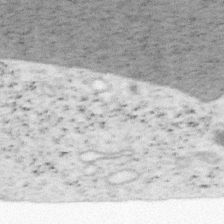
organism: Mouse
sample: OT-I killer T cells with ID8 ovarian cancer cells